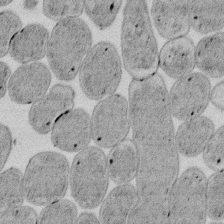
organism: E. coli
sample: Bacterial nucleoid